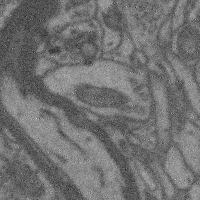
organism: Mouse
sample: Cerebral cortex